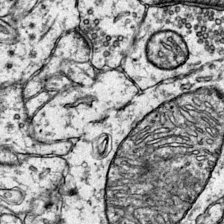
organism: Mouse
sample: Primary visual cortex